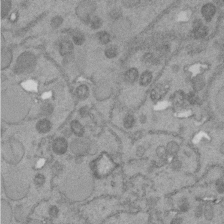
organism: C. elegans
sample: C. elegans embryo early stage